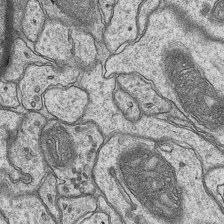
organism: Mouse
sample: CA1 Hippocampus